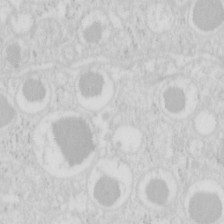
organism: Mouse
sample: Pancreas